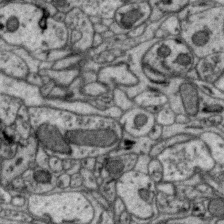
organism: Zebra finch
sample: Brain